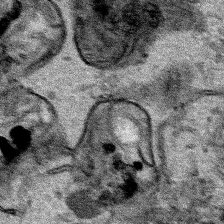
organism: Human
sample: Mitochondria in HCT116 cells